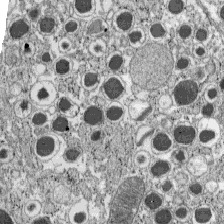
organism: C57BL Mouse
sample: Pancreatic islet